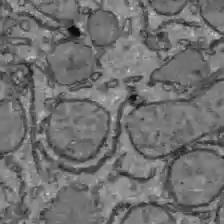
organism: C57BL Mouse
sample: Liver